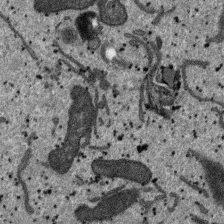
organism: Human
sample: Lung epithelial cells, uninfected (mock) control